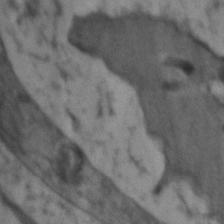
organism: Zebrafish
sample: Zebrafish embryo